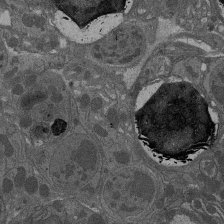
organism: Drosophila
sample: Antenna